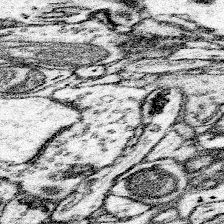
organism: Mouse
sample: Somatosensory cortex neuropil